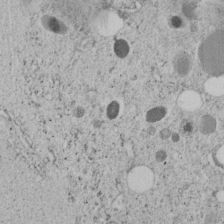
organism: C. elegans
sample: C. elegans embryo early stage